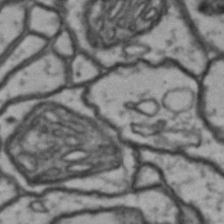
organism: Drosophila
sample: Brain